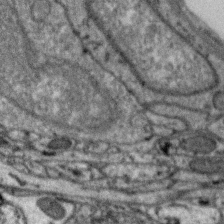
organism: Zebra finch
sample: Brain